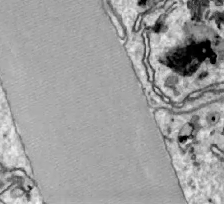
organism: Zebrafish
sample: Actinotrichia fibers